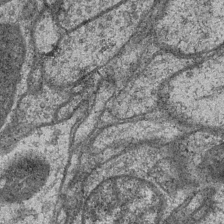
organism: Drosophila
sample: Optic medulla